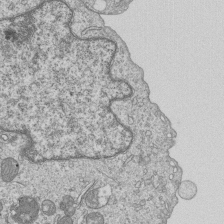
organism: Human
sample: MDA-MB-231 cells